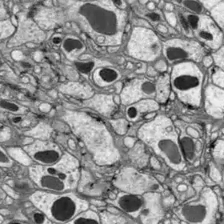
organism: Drosophila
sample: Optic lobe